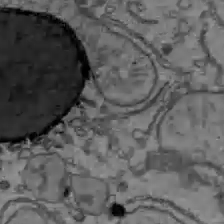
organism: C57BL Mouse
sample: Liver